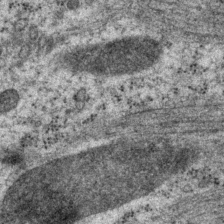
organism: P. pacificus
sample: Pharynx